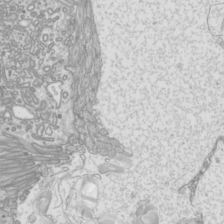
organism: Mouse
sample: Cilia; mouse epididymis